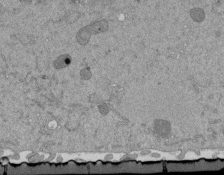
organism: Mouse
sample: ED-1 cell nuclei; centrioles